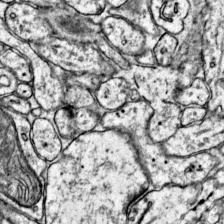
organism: Mouse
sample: Primary visual cortex